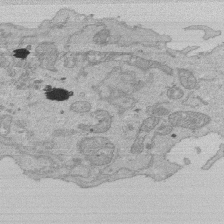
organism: Human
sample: Activated Jurkat CD4+ T cells